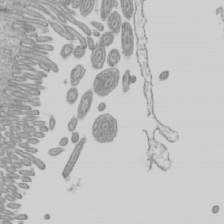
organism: Mouse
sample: Cilia; mouse epididymis